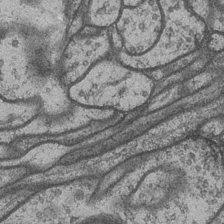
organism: Drosophila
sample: Optic medulla